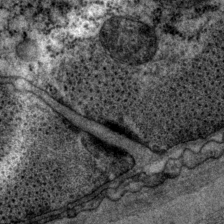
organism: P. pacificus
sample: Pharynx